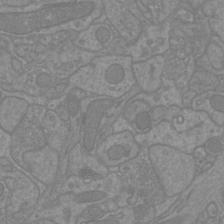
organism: Mouse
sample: Cortical neurons